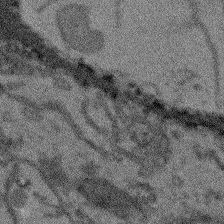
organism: Arabidopsis thaliana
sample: Root tip